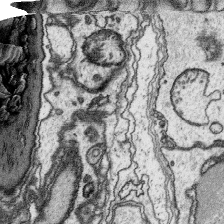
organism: Platynereis dumerilii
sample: Parapodia